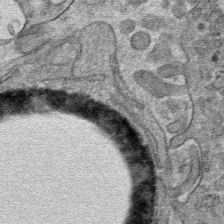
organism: Mouse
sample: Mouse hepatocytes